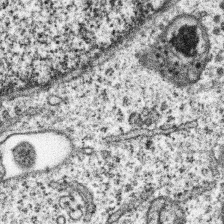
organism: Human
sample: HeLa cells